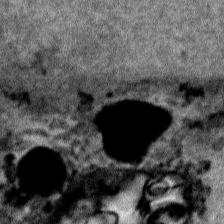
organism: Human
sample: Mitochondria in HCT116 cells